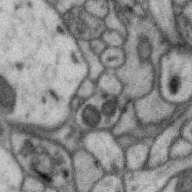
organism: Zebra finch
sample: Brain